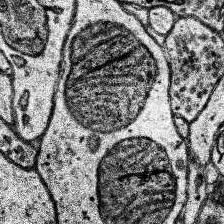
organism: Human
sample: Temporal Lobe